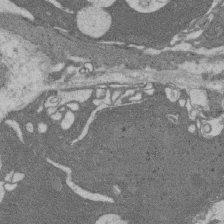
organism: Rat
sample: Salivary granule